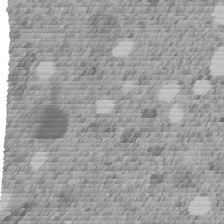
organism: C. elegans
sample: C. elegans embryo early stage